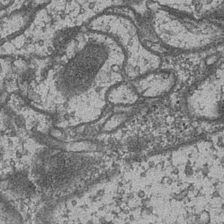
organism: Drosophila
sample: Optic medulla